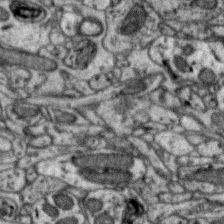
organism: Zebra finch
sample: Brain